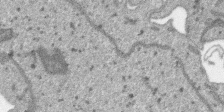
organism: Human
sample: Lung epithelial cells infected with SARS-CoV-2